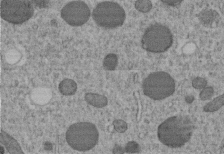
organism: C. elegans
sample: C. elegans embryo early stage